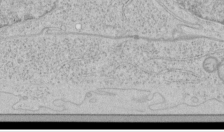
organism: Human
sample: Mitochondria in HCT116 cells